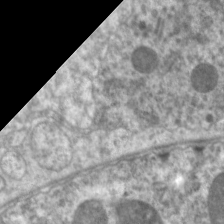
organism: C. elegans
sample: Pharynx